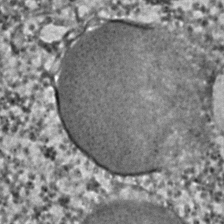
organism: C. elegans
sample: C. elegans embryo